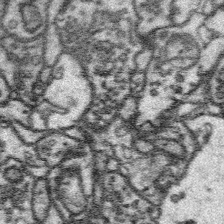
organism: Platynereis dumerilii